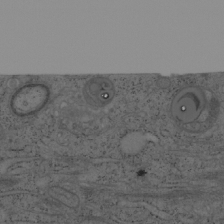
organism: Human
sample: HeLa cells